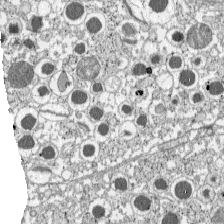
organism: C57BL Mouse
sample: Pancreatic islet